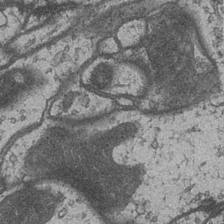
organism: Drosophila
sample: Optic medulla